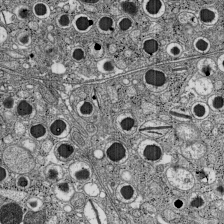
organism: C57BL Mouse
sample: Pancreatic islet